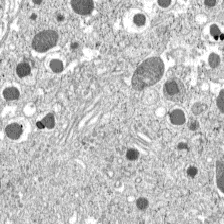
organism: C57BL Mouse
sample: Pancreatic islet